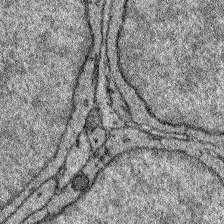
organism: Zebrafish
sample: Larval olfactory bulb